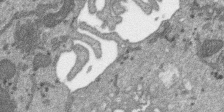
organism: Human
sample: Lung epithelial cells infected with SARS-CoV-2